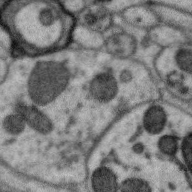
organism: Zebra finch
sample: Brain